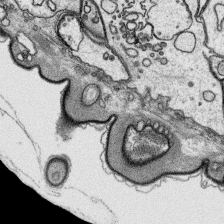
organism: Platynereis dumerilii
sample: Parapodia